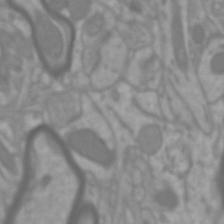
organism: Mouse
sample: Cortical neurons